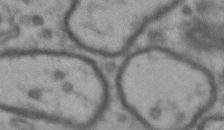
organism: Drosophila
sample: Brain